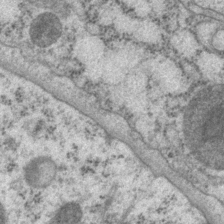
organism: P. pacificus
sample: Pharynx